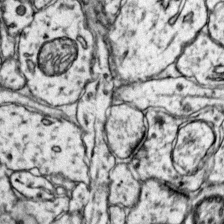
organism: Mouse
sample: Primary visual cortex